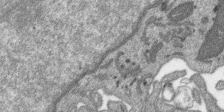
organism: Human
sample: Lung epithelial cells infected with SARS-CoV-2